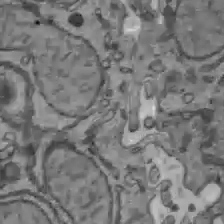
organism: C57BL Mouse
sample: Liver